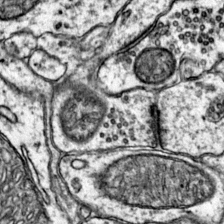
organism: Mouse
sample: Primary visual cortex